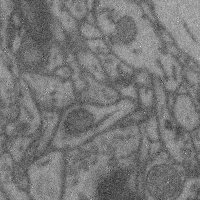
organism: Mouse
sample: Cerebral cortex